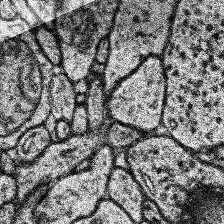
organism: Human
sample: Temporal Lobe